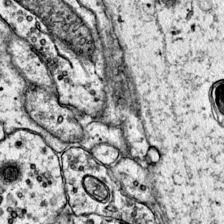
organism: Mouse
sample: Primary visual cortex